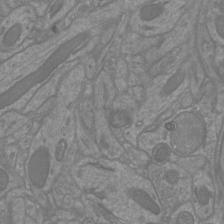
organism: Mouse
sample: Cortical neurons